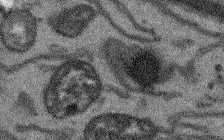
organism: Arabidopsis thaliana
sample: Root tip